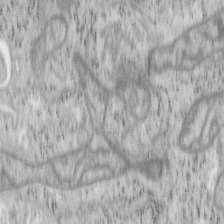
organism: Human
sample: HeLa cells